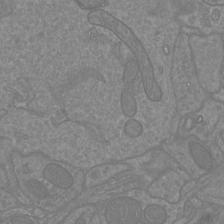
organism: Mouse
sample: Cortical neurons